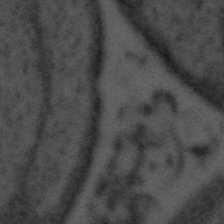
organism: Tuwongella immobilis